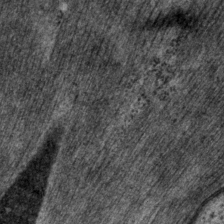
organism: P. pacificus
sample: Pharynx